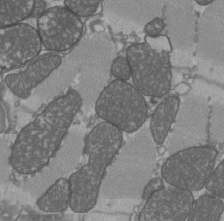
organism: C57BL Mouse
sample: Heart